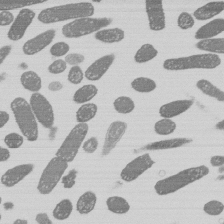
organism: E. coli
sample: Bacterial nucleoid